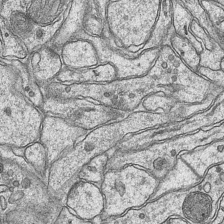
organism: Mouse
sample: CA1 Hippocampus